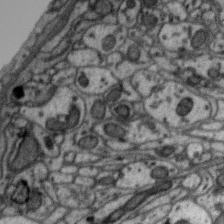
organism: Zebra finch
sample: Brain